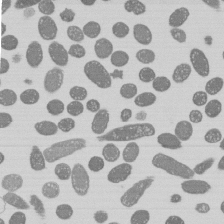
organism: E. coli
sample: Bacterial nucleoid